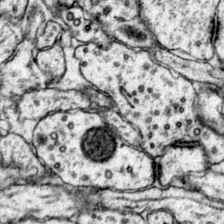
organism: Mouse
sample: Primary visual cortex